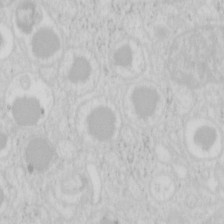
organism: Mouse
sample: Pancreas